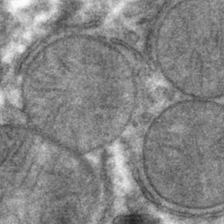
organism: Mouse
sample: Mouse hepatocytes